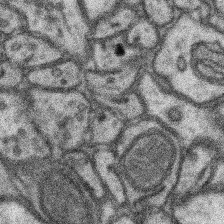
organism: Mouse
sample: Somatosensory cortex neuropil